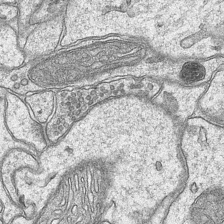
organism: Mouse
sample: CA1 Hippocampus